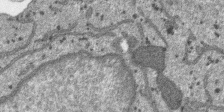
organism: Human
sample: Lung epithelial cells infected with SARS-CoV-2